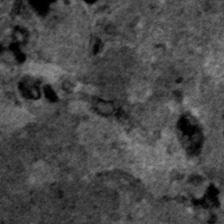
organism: Human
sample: Mitochondria in HCT116 cells